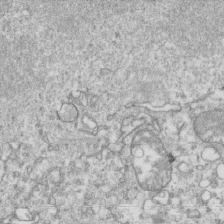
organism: Mouse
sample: Activated OT-1 CD8+ T cells